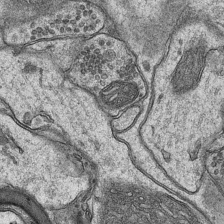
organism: Mouse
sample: CA1 Hippocampus